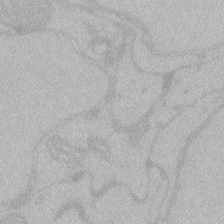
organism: Zebrafish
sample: Macrophage infected with Toxoplasma gondii